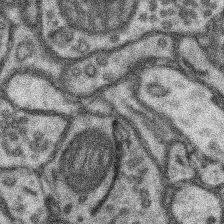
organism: Mouse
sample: Somatosensory cortex neuropil